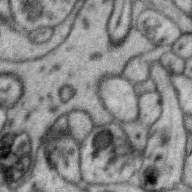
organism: Zebra finch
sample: Brain